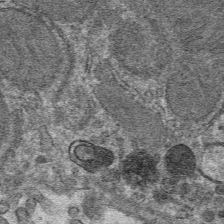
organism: Mouse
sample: Mouse hepatocytes